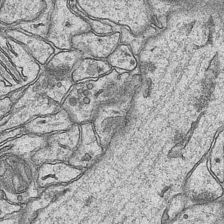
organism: Mouse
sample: CA1 Hippocampus